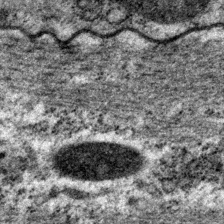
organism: P. pacificus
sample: Pharynx